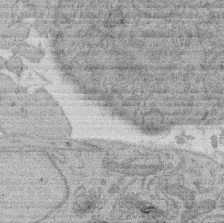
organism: Rat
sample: Salivary granule